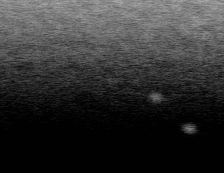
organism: Human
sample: HeLa cells